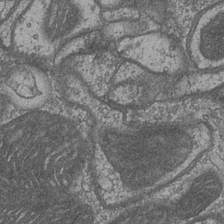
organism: Drosophila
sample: Optic medulla